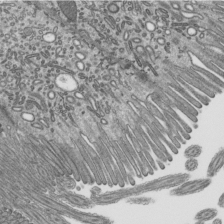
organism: Mouse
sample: Mouse epididymis efferent ductule cilia